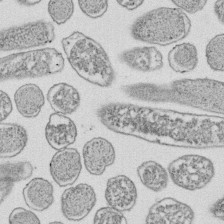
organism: E. coli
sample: Bacterial nucleoid